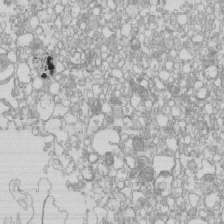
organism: Mouse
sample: Macrophages